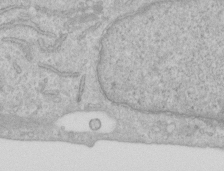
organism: Human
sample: Centriole in RPE cells